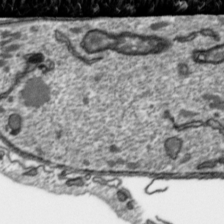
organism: Toxoplasma gondii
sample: Parasites in a vacuole inside a host cell